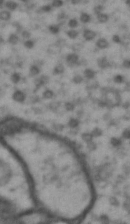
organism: Drosophila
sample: Brain